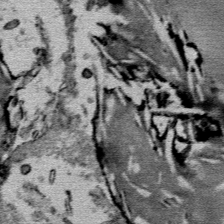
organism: Mouse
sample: Mouse Salivary gland